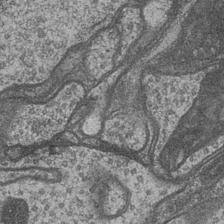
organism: Drosophila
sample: Optic medulla